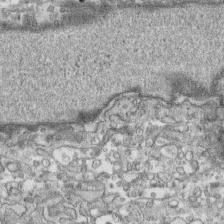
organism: Human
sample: CRL-1474